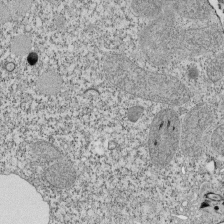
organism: Tetrahymena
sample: Cilia in tetrahymena